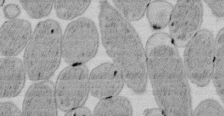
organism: E. coli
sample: Bacterial nucleoid